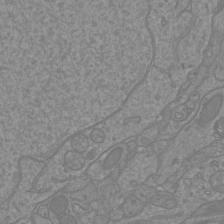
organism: Mouse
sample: Cortical neurons